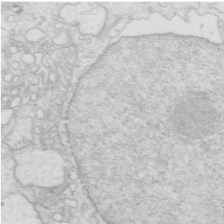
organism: Mouse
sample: Multiciliated cells